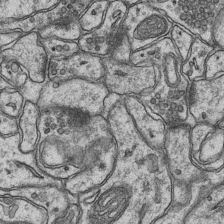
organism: Mouse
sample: CA1 Hippocampus